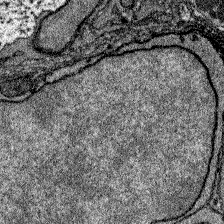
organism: Zebrafish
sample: Larval olfactory bulb